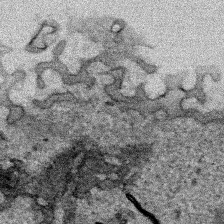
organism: Human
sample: Mitochondria in HCT116 cells